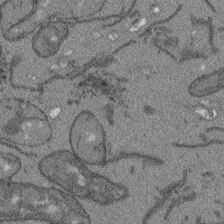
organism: Arabidopsis thaliana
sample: Root tip